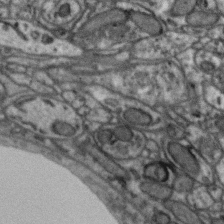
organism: Zebra finch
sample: Brain